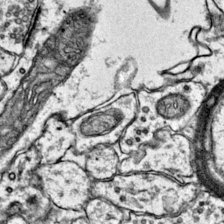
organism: Mouse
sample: Primary visual cortex